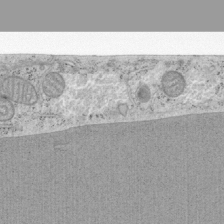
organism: Human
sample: HeLa cells